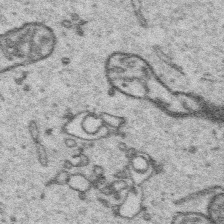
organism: Platynereis dumerilii